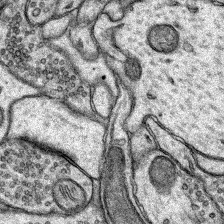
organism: Rat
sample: Hippocampus